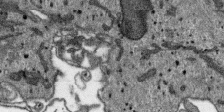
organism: Human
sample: Lung epithelial cells, uninfected (mock) control